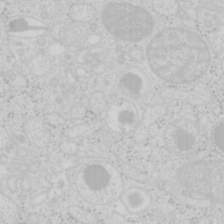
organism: Mouse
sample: Pancreas